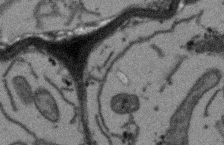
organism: Arabidopsis thaliana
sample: Root tip